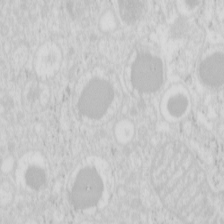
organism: Mouse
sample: Pancreas